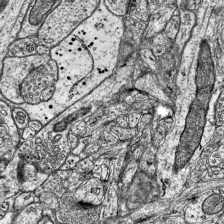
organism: Mouse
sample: Visual Cortex